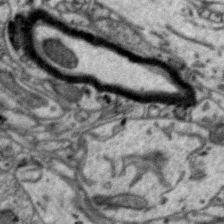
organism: Zebra finch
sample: Brain